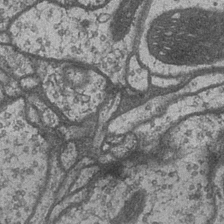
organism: Drosophila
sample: Optic medulla